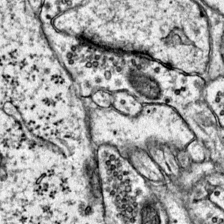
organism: Mouse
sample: Primary visual cortex